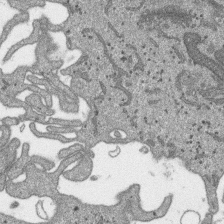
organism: Human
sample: Lung epithelial cells infected with SARS-CoV-2